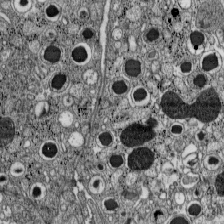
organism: C57BL Mouse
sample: Pancreatic islet